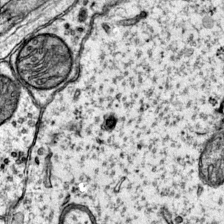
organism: Mouse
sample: Primary visual cortex